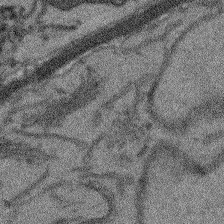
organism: Arabidopsis thaliana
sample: Root tip